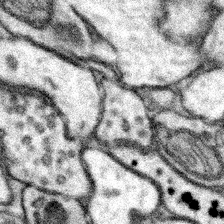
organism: Mouse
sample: Somatosensory cortex neuropil